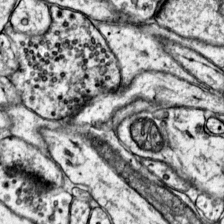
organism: Mouse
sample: Primary visual cortex